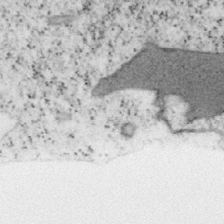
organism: Mouse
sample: OT-I killer T cells with ID8 ovarian cancer cells